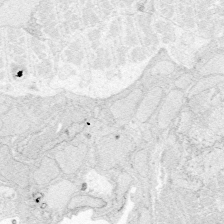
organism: Zebrafish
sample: Whole-Brain